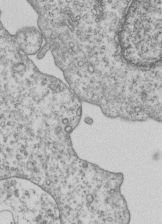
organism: Human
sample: MDA-MB-231 cells